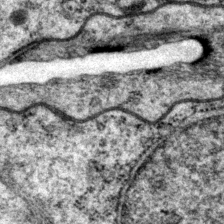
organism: P. pacificus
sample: Pharynx